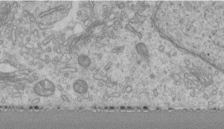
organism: Human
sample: Centriole in RPE cells